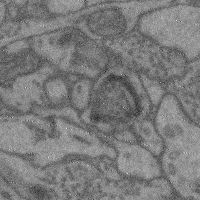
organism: Mouse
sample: Cerebral cortex